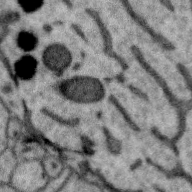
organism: Zebra finch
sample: Brain